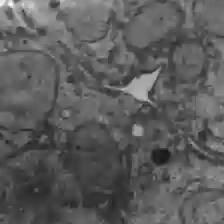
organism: C57BL Mouse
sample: Liver